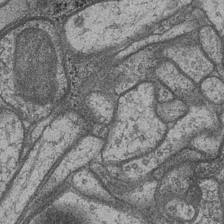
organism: Drosophila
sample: Optic medulla